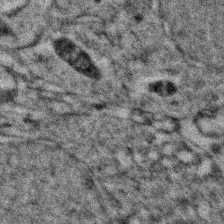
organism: Zebrafish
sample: Zebrafish embryo